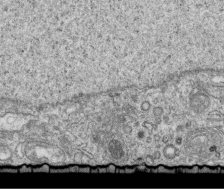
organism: Human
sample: HeLa cell HIV synapse